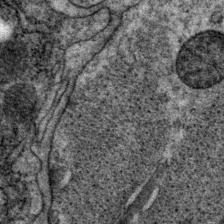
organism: P. pacificus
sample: Pharynx